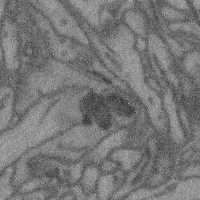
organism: Mouse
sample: Cerebral cortex